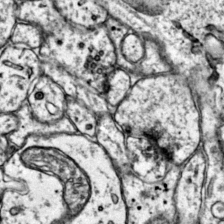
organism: Mouse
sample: Primary visual cortex